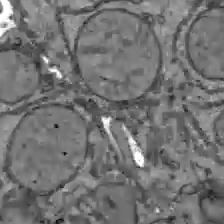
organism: C57BL Mouse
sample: Liver